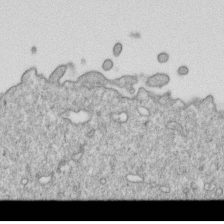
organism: Mouse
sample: Activated OT-1 CD8+ T cells